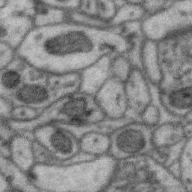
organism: Zebra finch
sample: Brain